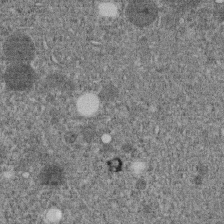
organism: C. elegans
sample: C. elegans embryo early stage